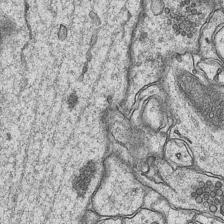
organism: Mouse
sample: CA1 Hippocampus